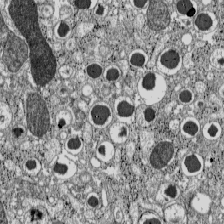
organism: C57BL Mouse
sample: Pancreatic islet